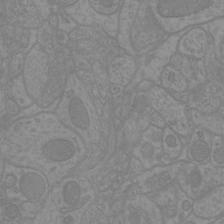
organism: Mouse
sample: Cortical neurons